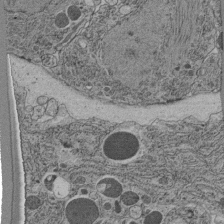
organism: C. elegans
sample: C. elegans pharynx